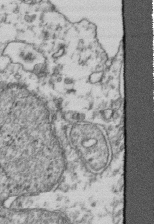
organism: Human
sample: Activated Jurkat CD4+ T cells